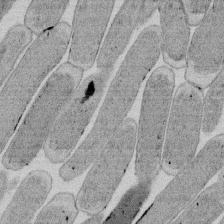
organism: E. coli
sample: Bacterial nucleoid